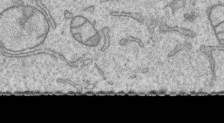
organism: Human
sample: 1205lu cells